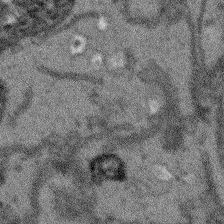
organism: Arabidopsis thaliana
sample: Root tip